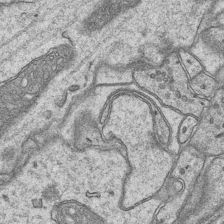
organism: Mouse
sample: CA1 Hippocampus